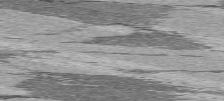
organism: C57BL Mouse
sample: Heart